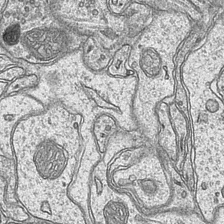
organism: Mouse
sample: CA1 Hippocampus